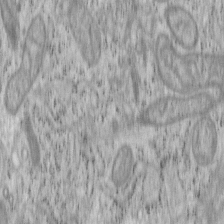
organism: Human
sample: HeLa cells